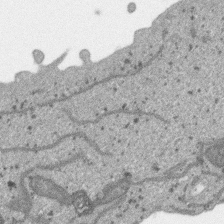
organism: Human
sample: Lung epithelial cells infected with SARS-CoV-2